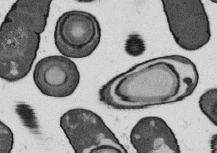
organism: B. subtilis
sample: Bacterial spore